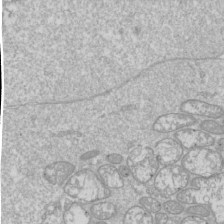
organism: Drosophila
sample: Cell division; meiosis; drosophila spermatocytes